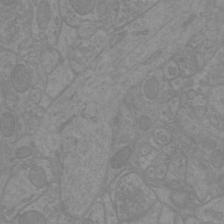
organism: Mouse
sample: Cortical neurons